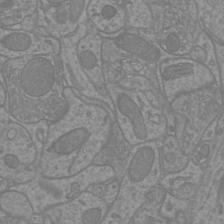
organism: Mouse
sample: Cortical neurons